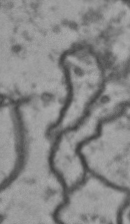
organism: Drosophila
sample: Brain